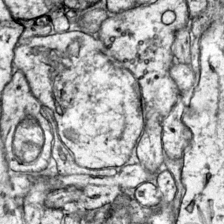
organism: Mouse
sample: Primary visual cortex